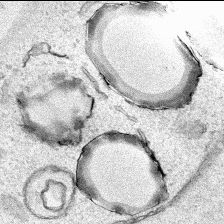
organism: Human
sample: Mitochondria in HCT116 cells